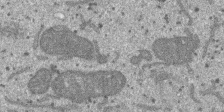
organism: Human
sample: Lung epithelial cells infected with SARS-CoV-2